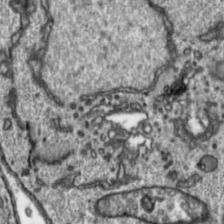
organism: Toxoplasma gondii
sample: Parasites in a vacuole inside a host cell